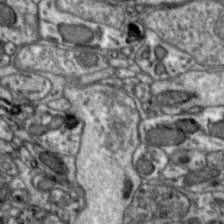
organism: Zebra finch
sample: Brain